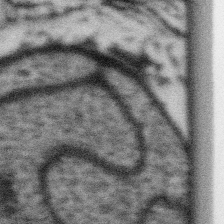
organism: Gemmata obscuriglobus